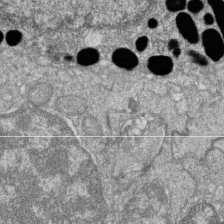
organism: Zebrafish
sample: Cilia; retinal pigment epithelium